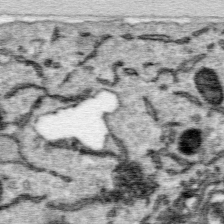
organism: Human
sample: HeLa cells